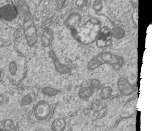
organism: Human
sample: MDA-MB-231 cells